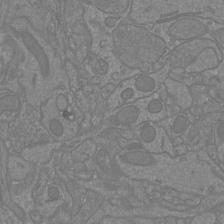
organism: Mouse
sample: Cortical neurons